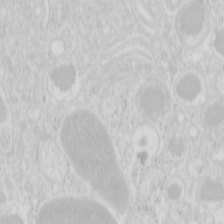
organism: Mouse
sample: Pancreas